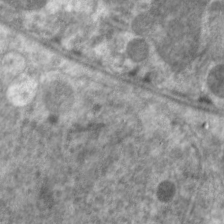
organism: C. elegans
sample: Pharynx